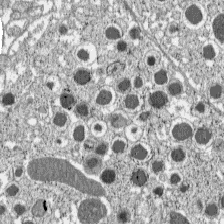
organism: C57BL Mouse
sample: Pancreatic islet